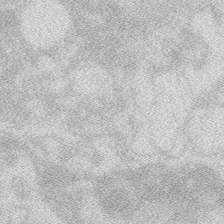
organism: Zebrafish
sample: Macrophage